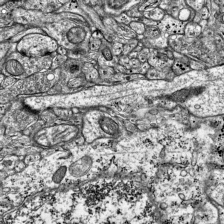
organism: Mouse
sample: Visual Cortex